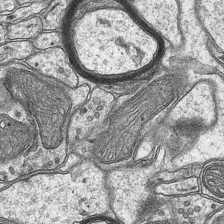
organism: Mouse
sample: CA1 Hippocampus